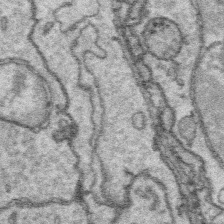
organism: Platynereis dumerilii